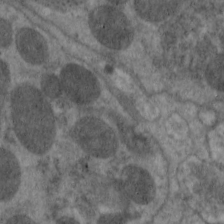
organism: C. elegans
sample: Pharynx